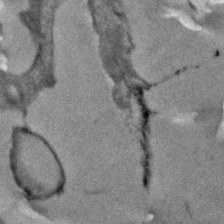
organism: Human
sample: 1205lu cells